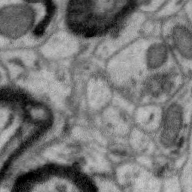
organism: Zebra finch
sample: Brain